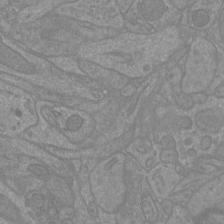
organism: Mouse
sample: Cortical neurons